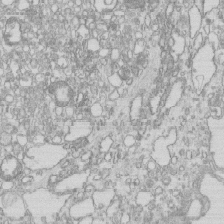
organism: Mouse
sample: Macrophages